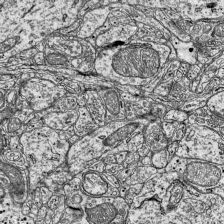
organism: Mouse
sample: Visual Cortex